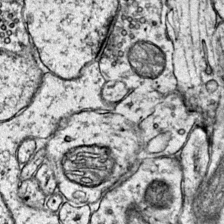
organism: Mouse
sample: Primary visual cortex